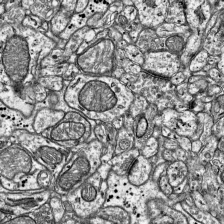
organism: Mouse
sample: Visual Cortex